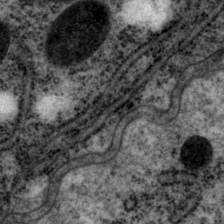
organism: P. pacificus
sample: Pharynx